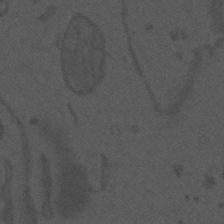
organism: Mouse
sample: Suprachiasmatic nucleus